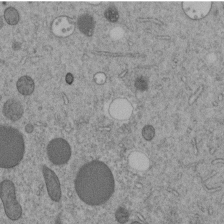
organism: C. elegans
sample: C. elegans embryo early stage